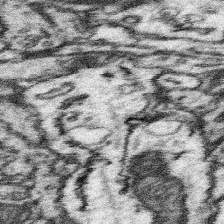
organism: Mouse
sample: Somatosensory cortex neuropil